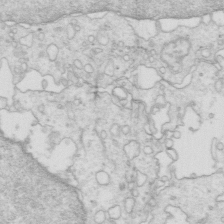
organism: Mouse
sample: Multiciliated cells